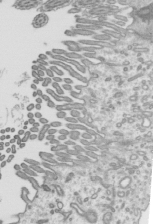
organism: Mouse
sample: Mouse epididymis efferent ductule cilia